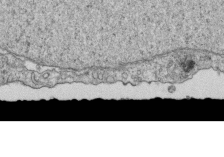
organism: Human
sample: HeLa cell HIV synapse